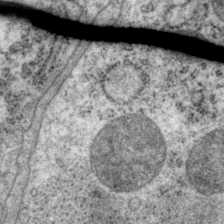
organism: P. pacificus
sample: Pharynx